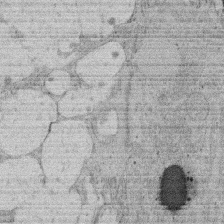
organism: Rat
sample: Salivary granule